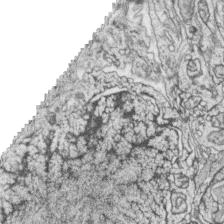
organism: Zebrafish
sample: synaptic ribbons in rod cells and cone cells